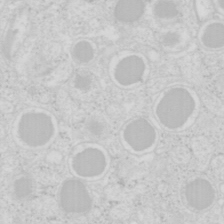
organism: Mouse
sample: Pancreas